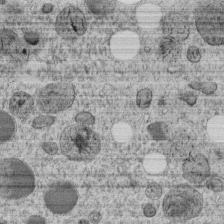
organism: C. elegans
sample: C. elegans embryo early stage